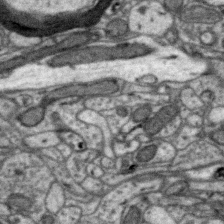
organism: Zebra finch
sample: Brain